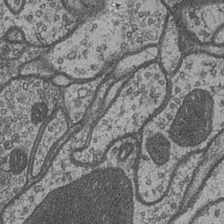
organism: Drosophila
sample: Optic medulla